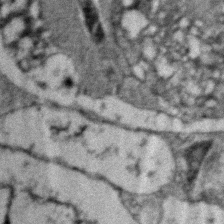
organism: Zebrafish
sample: Zebrafish embryo